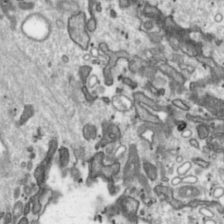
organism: Toxoplasma gondii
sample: Parasites in a vacuole inside a host cell